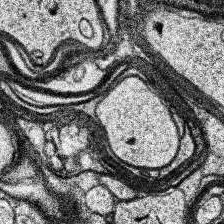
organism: Human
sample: Temporal Lobe